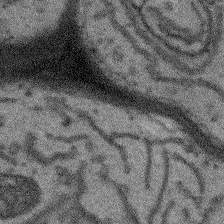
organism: Arabidopsis thaliana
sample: Root tip